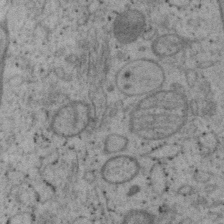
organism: Human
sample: HeLa cells